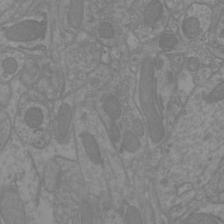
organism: Mouse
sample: Cortical neurons